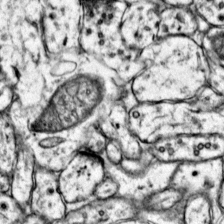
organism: Mouse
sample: Primary visual cortex